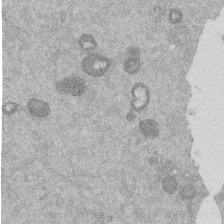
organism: Mouse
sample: Dividing mouse embryo 1 cell stage